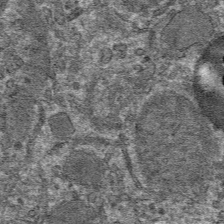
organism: Mouse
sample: Mouse hepatocytes